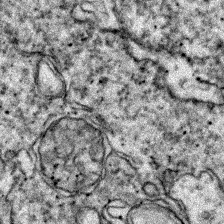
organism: Zebrafish